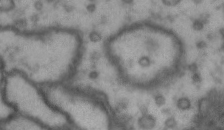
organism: Drosophila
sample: Brain